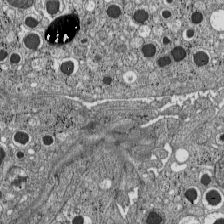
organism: C57BL Mouse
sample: Pancreatic islet